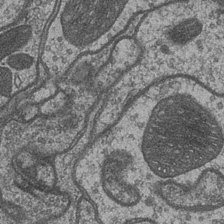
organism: Drosophila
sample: Optic medulla